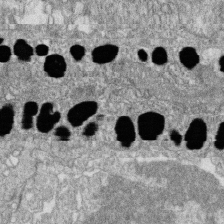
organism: Zebrafish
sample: Cilia; retinal pigment epithelium